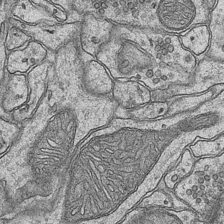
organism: Mouse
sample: CA1 Hippocampus